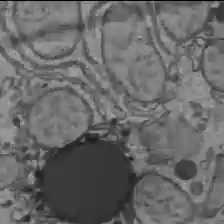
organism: C57BL Mouse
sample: Liver